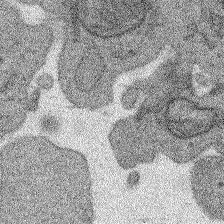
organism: Human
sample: HeLa cells